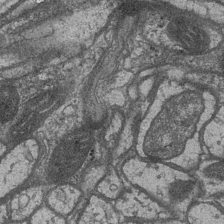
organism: Drosophila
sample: Optic medulla